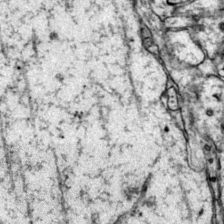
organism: Mouse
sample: Primary visual cortex